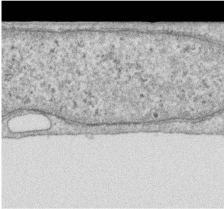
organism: Human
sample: Centriole in RPE cells